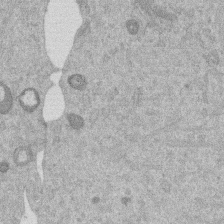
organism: Mouse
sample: Dividing mouse embryo 1 cell stage